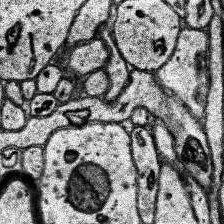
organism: Human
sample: Temporal Lobe